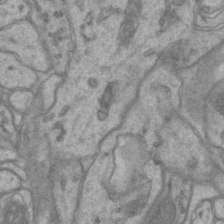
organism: Mouse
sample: CA1 Hippocampus